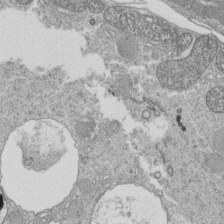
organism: Tetrahymena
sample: Cilia in tetrahymena